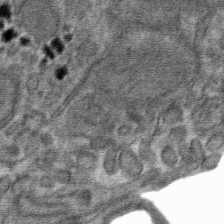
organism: Mouse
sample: Mouse hepatocytes